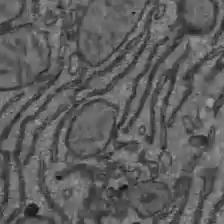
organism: C57BL Mouse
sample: Liver